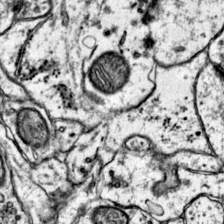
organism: Mouse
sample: Primary visual cortex